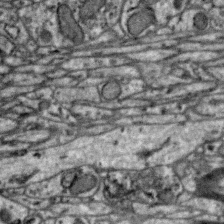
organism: Zebra finch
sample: Brain